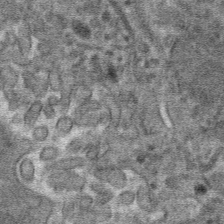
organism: Mouse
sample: Mouse hepatocytes